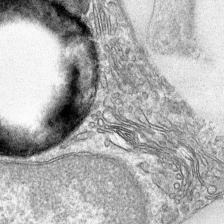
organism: Mouse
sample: Mouse hepatocytes